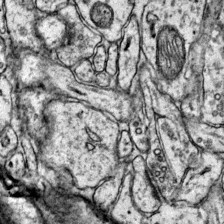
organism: Mouse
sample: Primary visual cortex